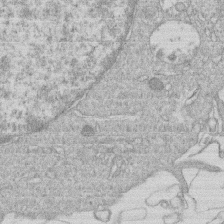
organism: Human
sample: Macrophage cells